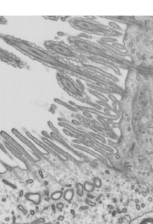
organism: Mouse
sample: Mouse epididymis efferent ductule cilia